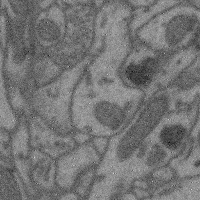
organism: Mouse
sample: Cerebral cortex